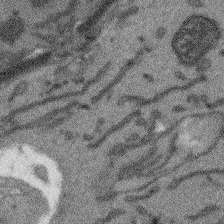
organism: Arabidopsis thaliana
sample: Root tip